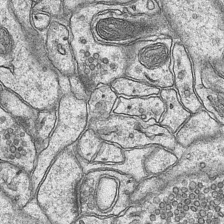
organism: Mouse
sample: CA1 Hippocampus